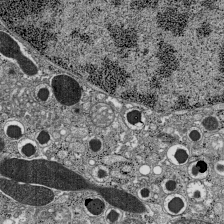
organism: C57BL Mouse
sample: Pancreatic islet